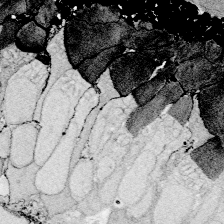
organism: Zebrafish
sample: Whole-Brain